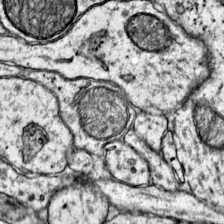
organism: Mouse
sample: Primary visual cortex